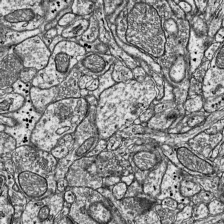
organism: Mouse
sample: Visual Cortex